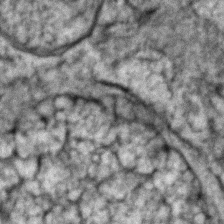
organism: Zebrafish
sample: Zebrafish embryo